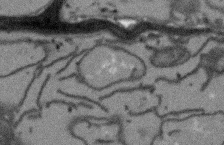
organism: Arabidopsis thaliana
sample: Root tip